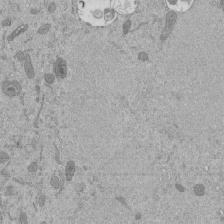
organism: Mouse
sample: ED-1 cell nuclei; centrioles